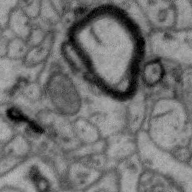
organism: Zebra finch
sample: Brain